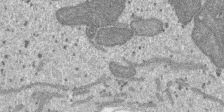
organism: Human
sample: Lung epithelial cells infected with SARS-CoV-2